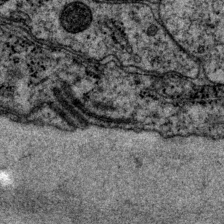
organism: P. pacificus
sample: Pharynx